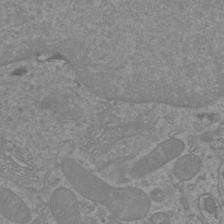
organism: Mouse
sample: Cortical neurons